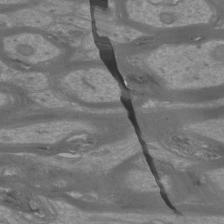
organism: Mouse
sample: Cortical neurons